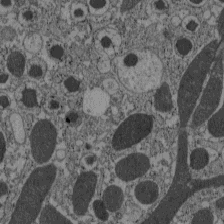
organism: C57BL Mouse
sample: Pancreatic islet